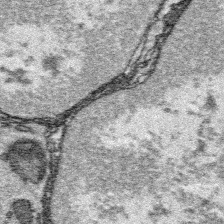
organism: Platynereis dumerilii